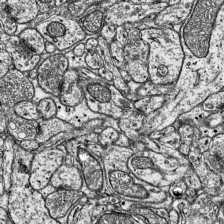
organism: Mouse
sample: Visual Cortex